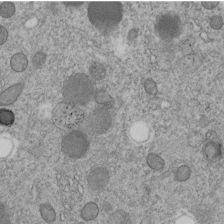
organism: C. elegans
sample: C. elegans embryo early stage